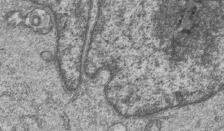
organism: Human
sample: MDA-MB-231 cells